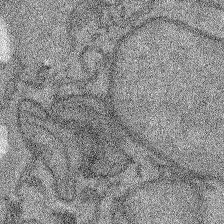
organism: Human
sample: HeLa cells